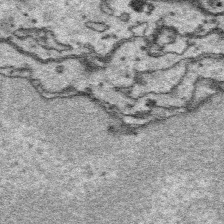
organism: Platynereis dumerilii